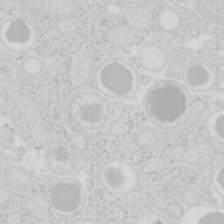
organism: Mouse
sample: Pancreas